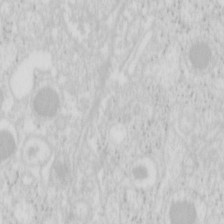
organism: Mouse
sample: Pancreas